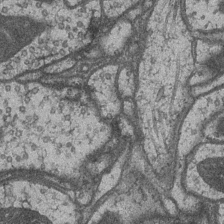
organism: Drosophila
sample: Optic medulla